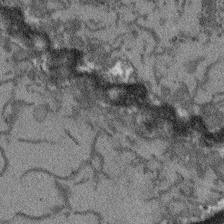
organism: Arabidopsis thaliana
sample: Root tip